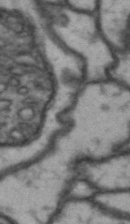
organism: Drosophila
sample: Brain